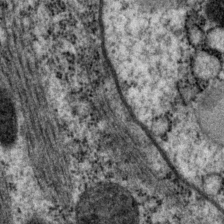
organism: P. pacificus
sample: Pharynx